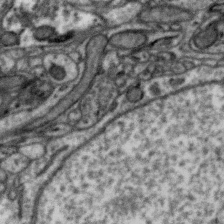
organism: Zebra finch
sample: Brain